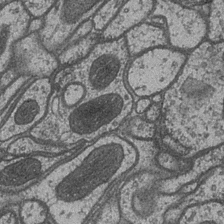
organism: Drosophila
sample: Optic medulla